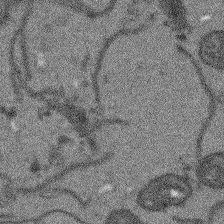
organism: Arabidopsis thaliana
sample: Root tip